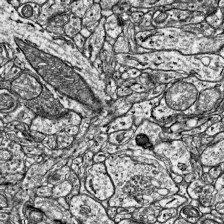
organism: Mouse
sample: Visual Cortex